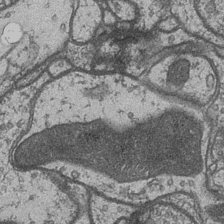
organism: Drosophila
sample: Optic medulla